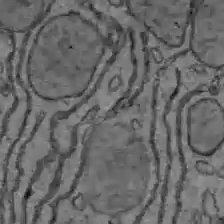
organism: C57BL Mouse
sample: Liver